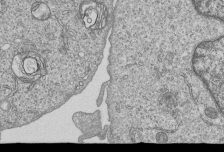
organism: Human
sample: MDA-MB-231 cells